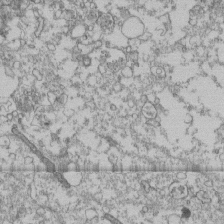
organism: Human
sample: Fibroblast cells